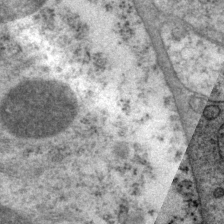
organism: P. pacificus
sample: Pharynx